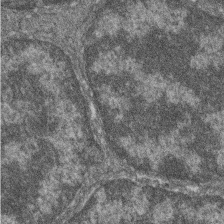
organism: Zebrafish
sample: Cilia; retinal pigment epithelium